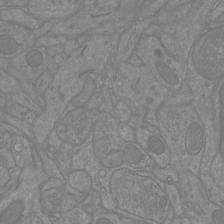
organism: Mouse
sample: Cortical neurons